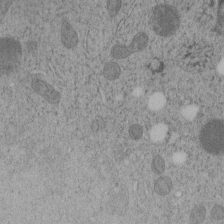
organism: C. elegans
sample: C. elegans embryo early stage